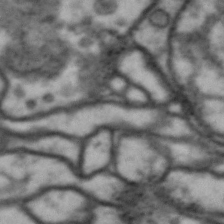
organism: Drosophila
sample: Brain